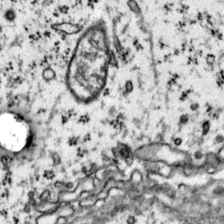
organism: Mouse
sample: Primary visual cortex